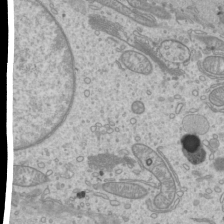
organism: Mouse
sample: Cilia; mouse epididymis